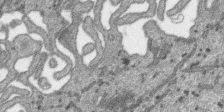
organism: Human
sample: Lung epithelial cells infected with SARS-CoV-2